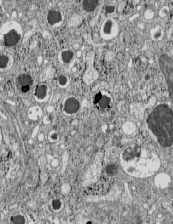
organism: C57BL Mouse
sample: Pancreatic islet